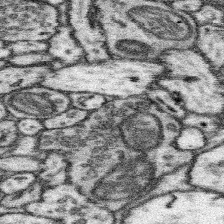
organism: Mouse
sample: Somatosensory cortex neuropil